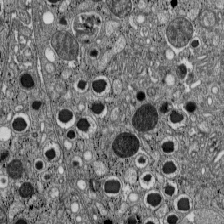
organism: C57BL Mouse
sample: Pancreatic islet